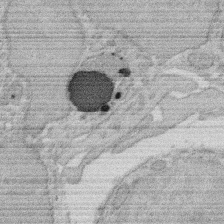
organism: Rat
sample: Salivary granule